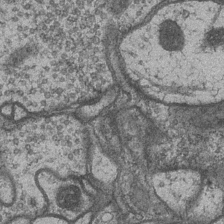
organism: Drosophila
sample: Optic medulla